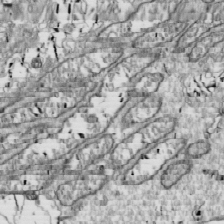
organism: Drosophila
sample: Cell division; meiosis; drosophila spermatocytes